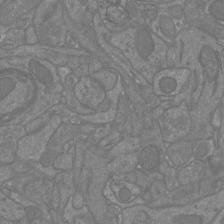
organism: Mouse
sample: Cortical neurons